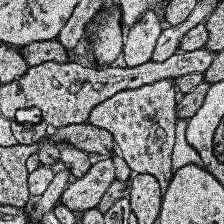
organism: Human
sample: Temporal Lobe